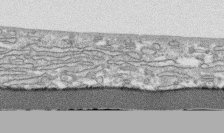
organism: Human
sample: CRL-1474